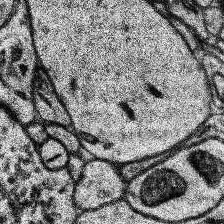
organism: Human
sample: Temporal Lobe